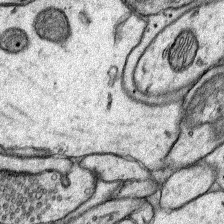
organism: Rat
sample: Hippocampus